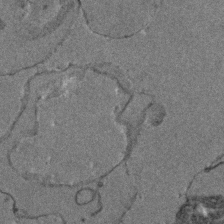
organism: Zebrafish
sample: Zebrafish embryo